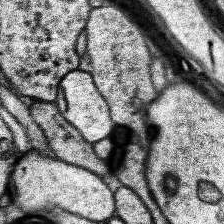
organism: Human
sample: Temporal Lobe